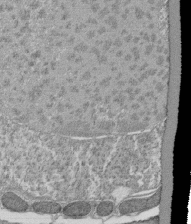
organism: Tetrahymena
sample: Cilia in tetrahymena